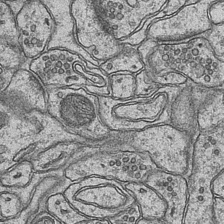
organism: Mouse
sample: CA1 Hippocampus